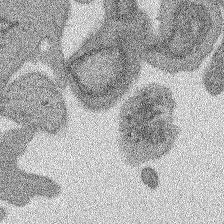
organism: Human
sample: HeLa cells